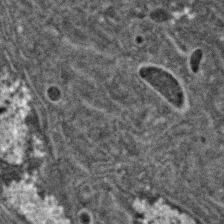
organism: C. elegans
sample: C. elegans embryo